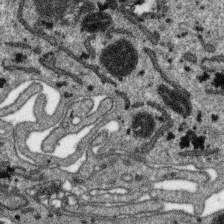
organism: Human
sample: Lung epithelial cells infected with SARS-CoV-2